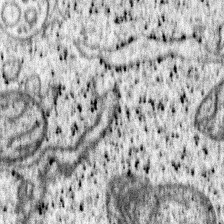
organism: Human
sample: HeLa cells